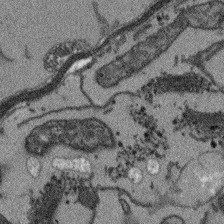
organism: Arabidopsis thaliana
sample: Root tip